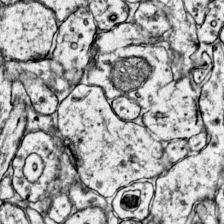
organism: Mouse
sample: Primary visual cortex